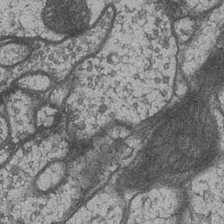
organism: Drosophila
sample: Optic medulla